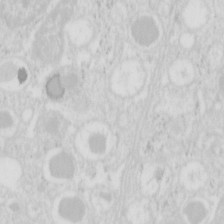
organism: Mouse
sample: Pancreas